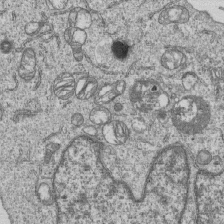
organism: Human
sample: MDA-MB-231 cells